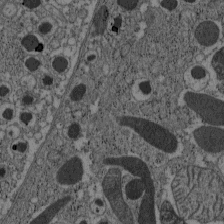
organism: C57BL Mouse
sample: Pancreatic islet